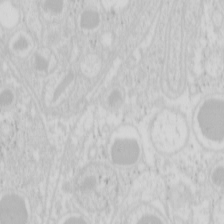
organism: Mouse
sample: Pancreas